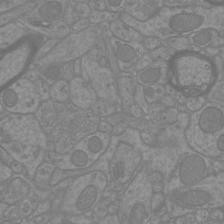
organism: Mouse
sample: Cortical neurons